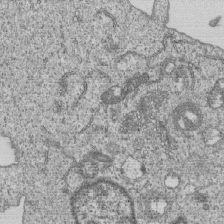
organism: Human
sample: MDA-MB-231 cells